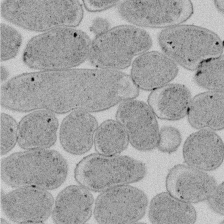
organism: E. coli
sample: Bacterial nucleoid